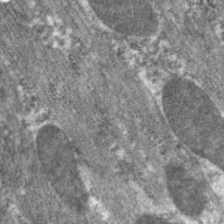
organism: C. elegans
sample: Pharynx